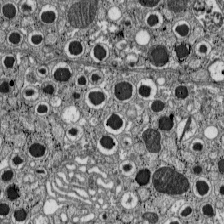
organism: C57BL Mouse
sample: Pancreatic islet